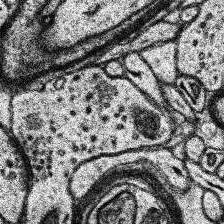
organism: Human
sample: Temporal Lobe